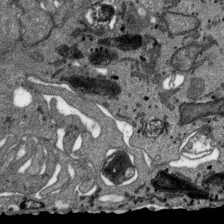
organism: Human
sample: Lung epithelial cells, uninfected (mock) control